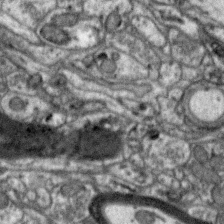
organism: Zebra finch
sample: Brain